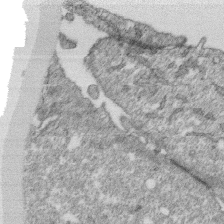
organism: African green monkey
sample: Vero E6 cells infected with SARS-CoV-2